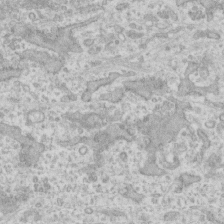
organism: Human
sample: CRL-1474